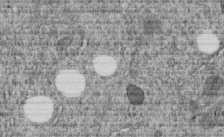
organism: C. elegans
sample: C. elegans embryo early stage